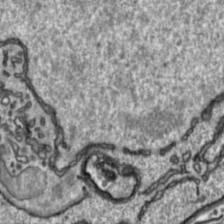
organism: Toxoplasma gondii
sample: Parasites in a vacuole inside a host cell